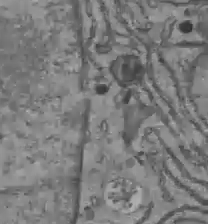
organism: C57BL Mouse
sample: Liver